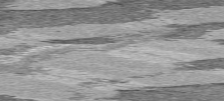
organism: C57BL Mouse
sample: Heart